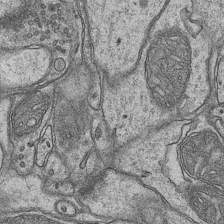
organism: Mouse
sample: CA1 Hippocampus